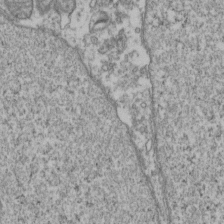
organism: Human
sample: Activated Jurkat CD4+ T cells